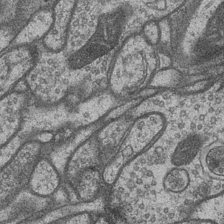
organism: Drosophila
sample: Optic medulla